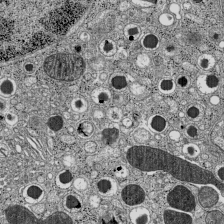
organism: C57BL Mouse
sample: Pancreatic islet